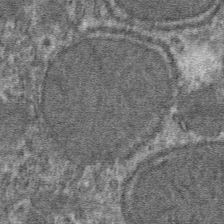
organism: Mouse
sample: Mouse hepatocytes